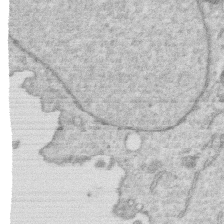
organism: Human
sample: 1205lu cells